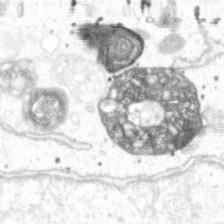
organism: Human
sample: HeLa cells